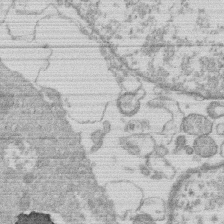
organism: Human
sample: Macrophage cells